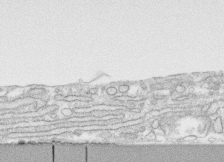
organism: Human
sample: CRL-1474